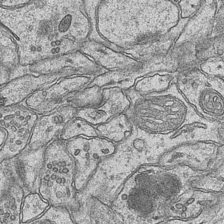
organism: Mouse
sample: CA1 Hippocampus